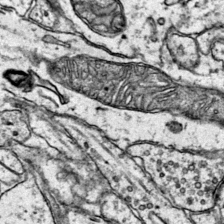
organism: Mouse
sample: Primary visual cortex